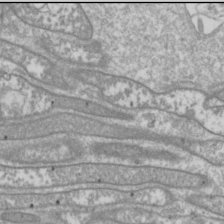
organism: Drosophila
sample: Cell division; meiosis; drosophila spermatocytes